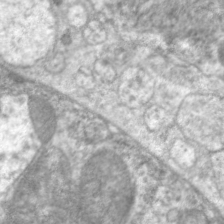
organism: C. elegans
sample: Pharynx